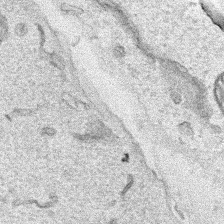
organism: Human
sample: Mitochondria in HCT116 cells